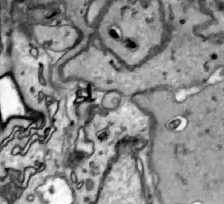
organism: Zebrafish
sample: Actinotrichia fibers